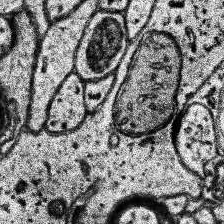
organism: Human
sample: Temporal Lobe